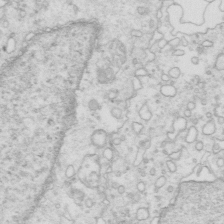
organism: Mouse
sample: Multiciliated cells